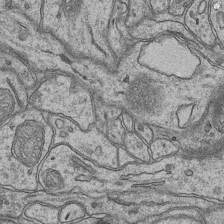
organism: Mouse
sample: CA1 Hippocampus